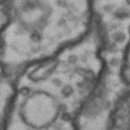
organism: Drosophila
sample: Brain